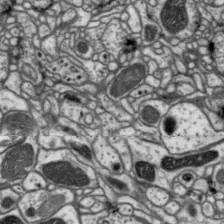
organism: Drosophila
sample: Protocerebral bridge